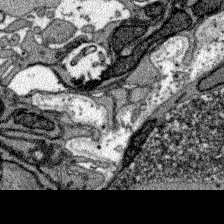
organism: Zebrafish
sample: Larval olfactory bulb